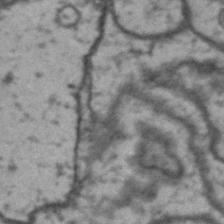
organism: Drosophila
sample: Brain